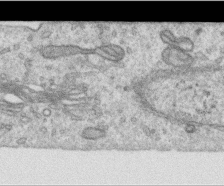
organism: Human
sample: Centriole in RPE cells